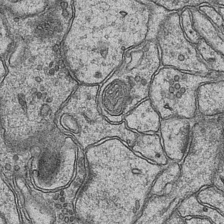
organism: Mouse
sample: CA1 Hippocampus